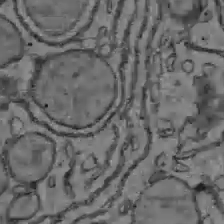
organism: C57BL Mouse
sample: Liver